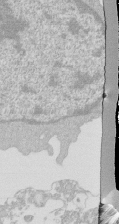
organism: Mouse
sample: Activated Pmel transgenic CD8+ T Cells